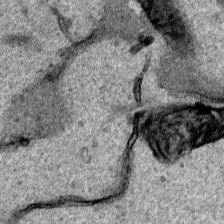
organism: Human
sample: Mitochondria in HCT116 cells